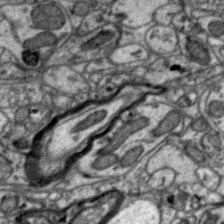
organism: Zebra finch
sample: Brain